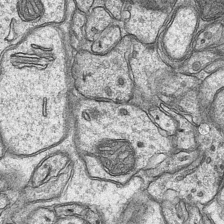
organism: Mouse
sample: CA1 Hippocampus